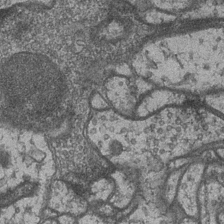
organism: Drosophila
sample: Optic medulla